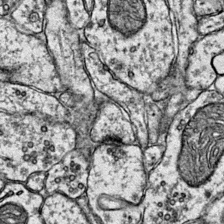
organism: Mouse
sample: Primary visual cortex